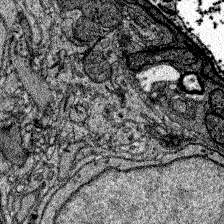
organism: Zebrafish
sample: Larval olfactory bulb